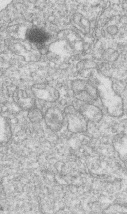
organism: Human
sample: HeLa cell HIV synapse